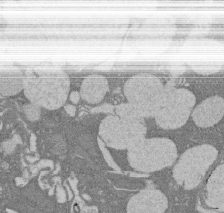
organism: Rat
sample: Salivary granule